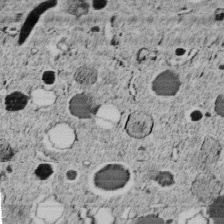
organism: C. elegans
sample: C. elegans embryo early stage